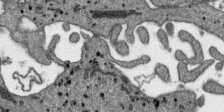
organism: Human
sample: Lung epithelial cells, uninfected (mock) control